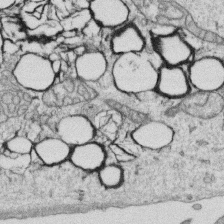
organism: Human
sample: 1205lu cells